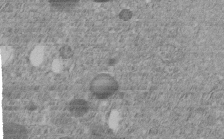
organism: C. elegans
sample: C. elegans embryo early stage